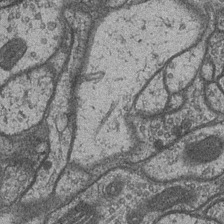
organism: Drosophila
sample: Optic medulla